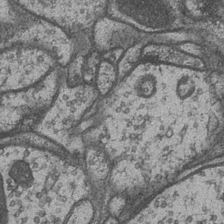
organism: Drosophila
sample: Optic medulla